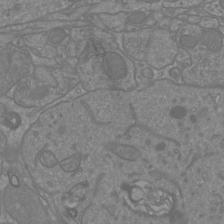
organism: Mouse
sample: Cortical neurons